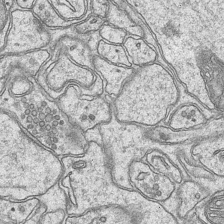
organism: Mouse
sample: CA1 Hippocampus